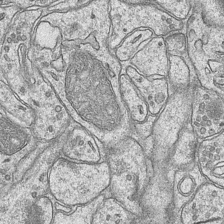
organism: Mouse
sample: CA1 Hippocampus